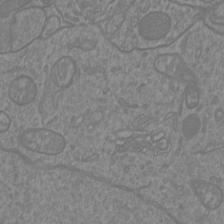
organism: Mouse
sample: Cortical neurons